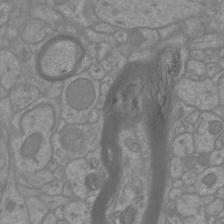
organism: Mouse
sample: Cortical neurons